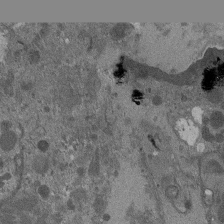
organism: Drosophila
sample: Antenna